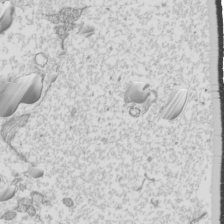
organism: Mouse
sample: Cilia; mouse epididymis